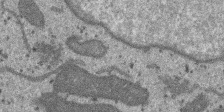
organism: Human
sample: Lung epithelial cells infected with SARS-CoV-2